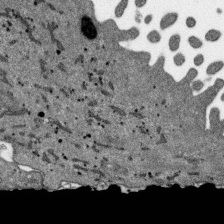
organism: Human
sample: Lung epithelial cells, uninfected (mock) control